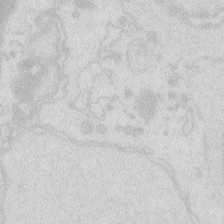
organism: Zebrafish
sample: Macrophage